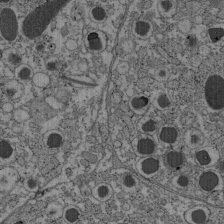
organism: C57BL Mouse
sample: Pancreatic islet